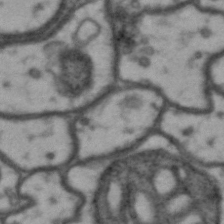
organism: Drosophila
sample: Brain